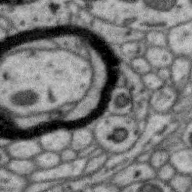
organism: Zebra finch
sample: Brain